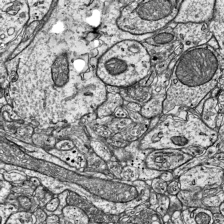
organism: Mouse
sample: Visual Cortex